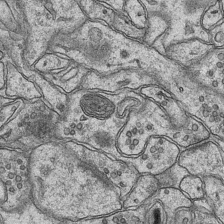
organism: Mouse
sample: CA1 Hippocampus